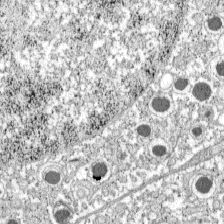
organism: C57BL Mouse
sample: Pancreatic islet